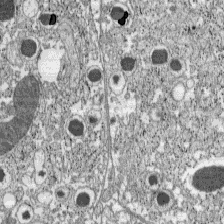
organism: C57BL Mouse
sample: Pancreatic islet